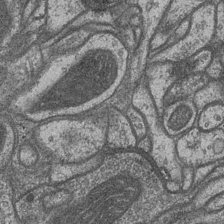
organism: Drosophila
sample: Optic medulla